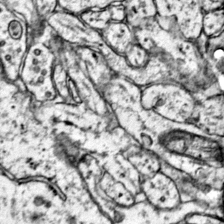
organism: Mouse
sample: Primary visual cortex